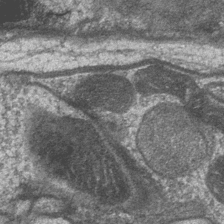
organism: Drosophila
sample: Optic medulla